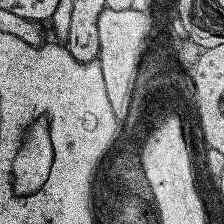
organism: Human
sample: Temporal Lobe